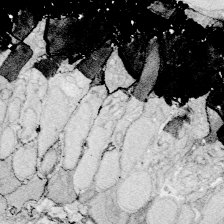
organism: Zebrafish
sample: Whole-Brain